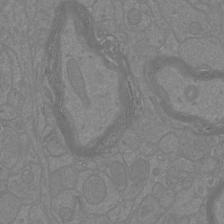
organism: Mouse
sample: Cortical neurons